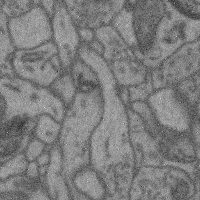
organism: Mouse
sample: Cerebral cortex